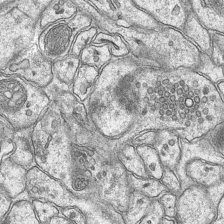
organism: Mouse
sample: CA1 Hippocampus